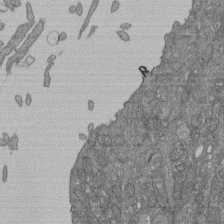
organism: Human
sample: Retinal organoid Rod and Cone cells